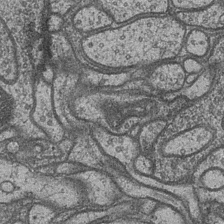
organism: Drosophila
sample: Optic medulla